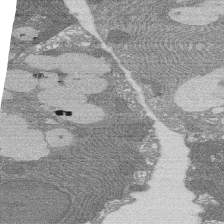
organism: Rat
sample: Salivary granule